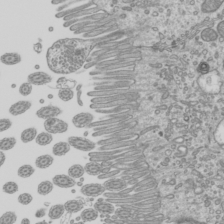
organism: Mouse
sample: Cilia; mouse epididymis